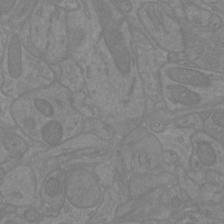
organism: Mouse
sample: Cortical neurons